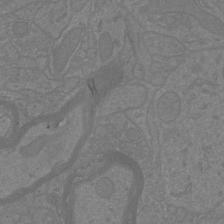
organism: Mouse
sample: Cortical neurons